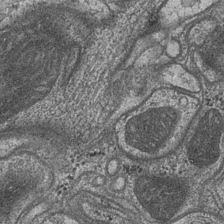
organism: Drosophila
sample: Optic medulla